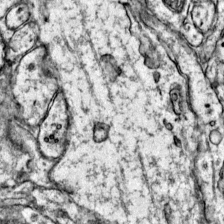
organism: Mouse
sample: Primary visual cortex